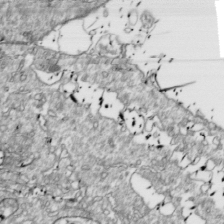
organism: Drosophila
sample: Cell division; meiosis; drosophila spermatocytes